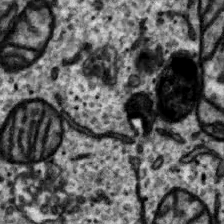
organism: Human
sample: HeLa cells